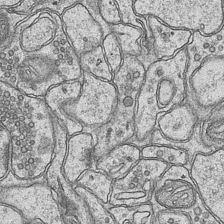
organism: Mouse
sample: CA1 Hippocampus